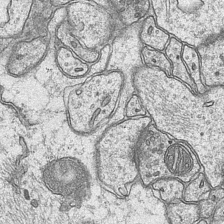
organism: Mouse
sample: CA1 Hippocampus